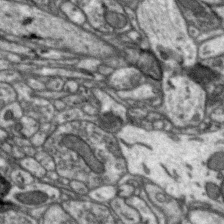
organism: Zebra finch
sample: Brain